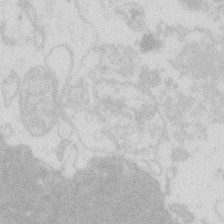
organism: Zebrafish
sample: Macrophage